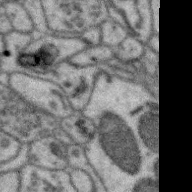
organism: Zebra finch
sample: Brain